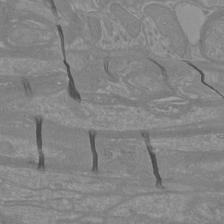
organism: Mouse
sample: Cortical neurons